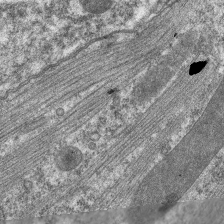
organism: C. elegans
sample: Pharynx